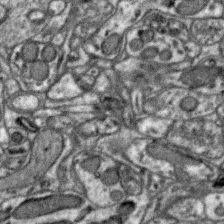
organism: Zebra finch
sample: Brain